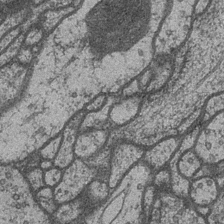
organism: Drosophila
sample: Optic medulla